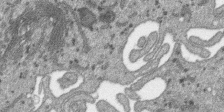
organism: Human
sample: Lung epithelial cells infected with SARS-CoV-2